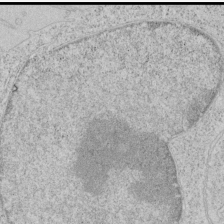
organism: Human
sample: Mitochondria in HCT116 cells